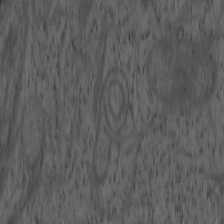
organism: Human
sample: HeLa cells